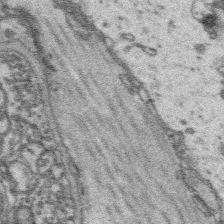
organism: Platynereis dumerilii